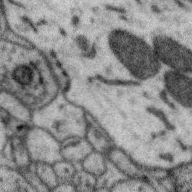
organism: Zebra finch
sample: Brain